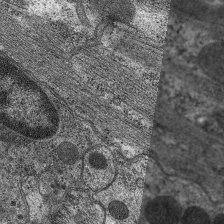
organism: C. elegans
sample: Pharynx